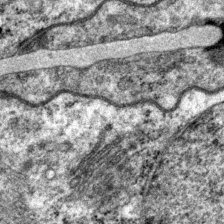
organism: P. pacificus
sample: Pharynx